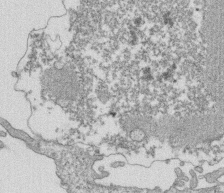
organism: Human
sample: HeLa cell HIV synapse